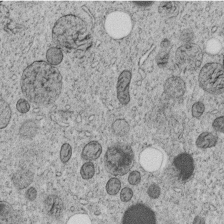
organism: C. elegans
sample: C. elegans embryo early stage